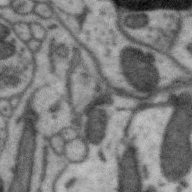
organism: Zebra finch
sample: Brain